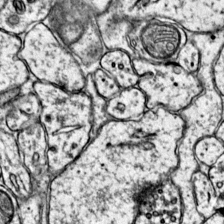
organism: Mouse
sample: Primary visual cortex